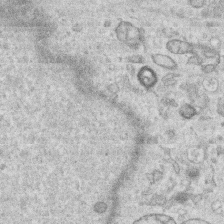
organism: Human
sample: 1205lu cells